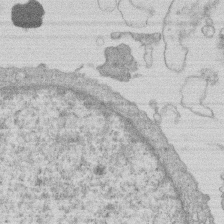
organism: Human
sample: Macrophage cells